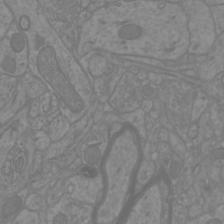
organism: Mouse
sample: Cortical neurons